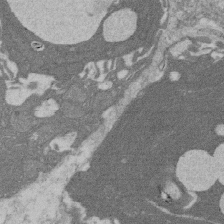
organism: Rat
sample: Salivary granule